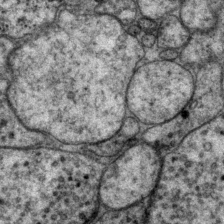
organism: P. pacificus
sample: Pharynx